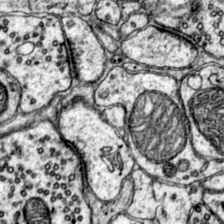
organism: Mouse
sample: Primary visual cortex